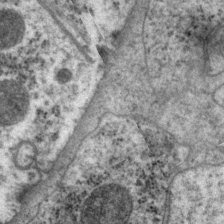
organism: P. pacificus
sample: Pharynx